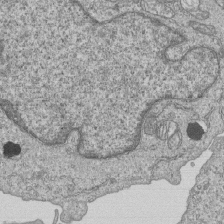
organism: Human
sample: MDA-MB-231 cells